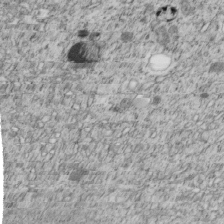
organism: C. elegans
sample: C. elegans embryo early stage